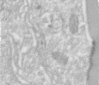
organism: Human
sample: Centriole in RPE cells